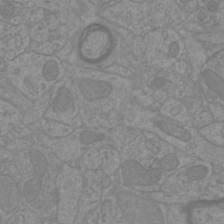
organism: Mouse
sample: Cortical neurons